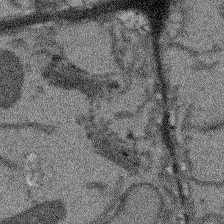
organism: Arabidopsis thaliana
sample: Root tip